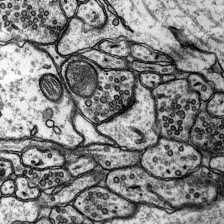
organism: Rat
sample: Hippocampus